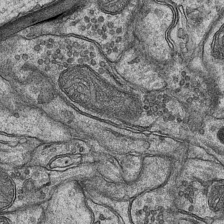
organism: Mouse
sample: CA1 Hippocampus